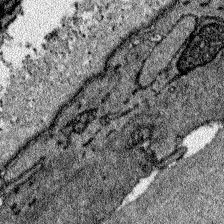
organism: Zebrafish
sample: Larval olfactory bulb